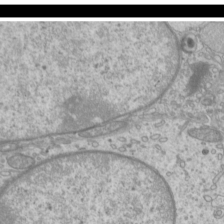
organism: Mouse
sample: Cilia; mouse epididymis